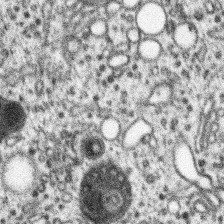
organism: Human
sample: HeLa cells